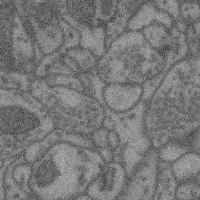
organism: Mouse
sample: Cerebral cortex